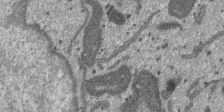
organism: Human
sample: Lung epithelial cells infected with SARS-CoV-2